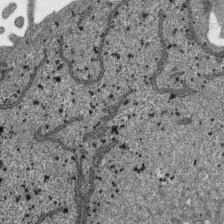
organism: Human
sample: Lung epithelial cells infected with SARS-CoV-2